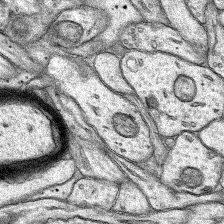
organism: Rat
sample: Hippocampus